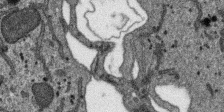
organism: Human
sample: Lung epithelial cells infected with SARS-CoV-2